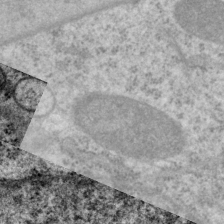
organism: P. pacificus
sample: Pharynx